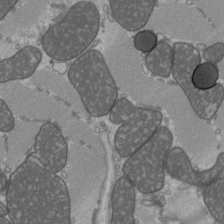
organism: C57BL Mouse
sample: Heart